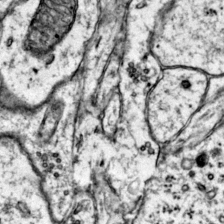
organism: Mouse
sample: Primary visual cortex